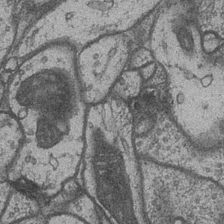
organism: Drosophila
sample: Optic medulla